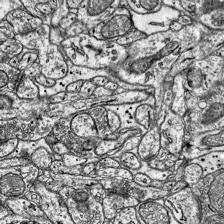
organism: Mouse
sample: Visual Cortex